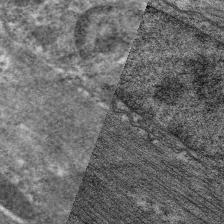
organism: C. elegans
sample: Pharynx